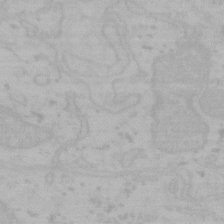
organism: Mouse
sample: Choroid plexus